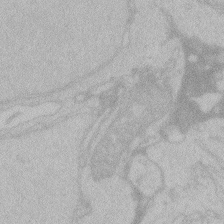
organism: Zebrafish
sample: Macrophage infected with Toxoplasma gondii